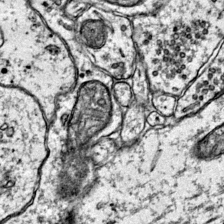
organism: Mouse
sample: Primary visual cortex